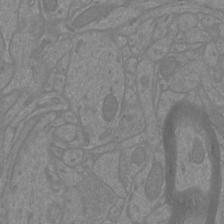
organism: Mouse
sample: Cortical neurons